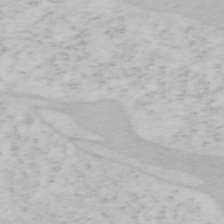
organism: Mouse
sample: OT-I killer T cells with ID8 ovarian cancer cells